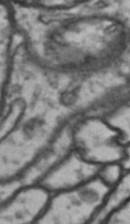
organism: Drosophila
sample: Brain